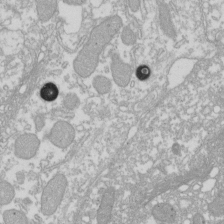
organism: Xenopus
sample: Cilia; centrioles in frog embryo cells